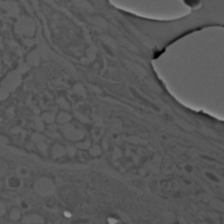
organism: C. elegans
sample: C. elegans embryo